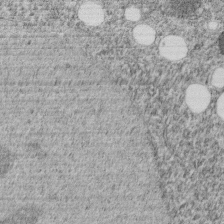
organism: C. elegans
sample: C. elegans embryo early stage